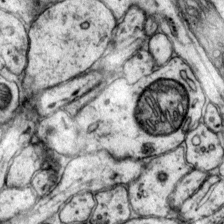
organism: Mouse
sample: Primary visual cortex